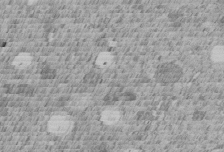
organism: C. elegans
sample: C. elegans embryo early stage